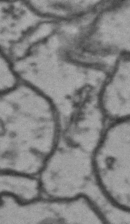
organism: Drosophila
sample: Brain